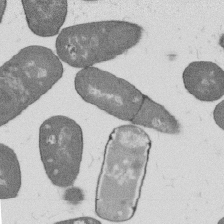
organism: B. subtilis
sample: Bacterial spore